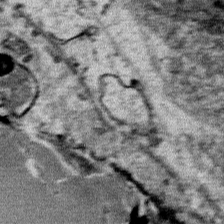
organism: Mouse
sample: Mouse Salivary gland